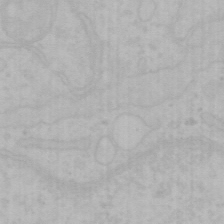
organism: Mouse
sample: Choroid plexus